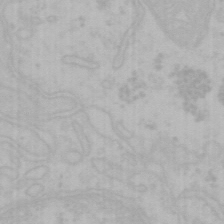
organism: Mouse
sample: Choroid plexus